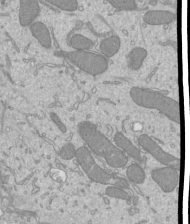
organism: Mouse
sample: Cilia; mouse epididymis